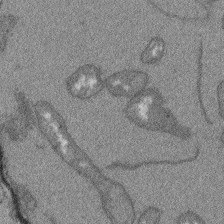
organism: Arabidopsis thaliana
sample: Root tip